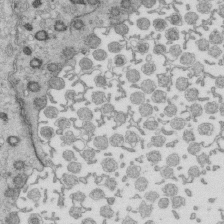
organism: Mouse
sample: Multiciliated cells